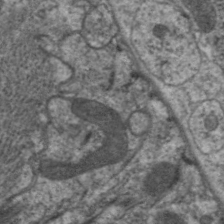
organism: C. elegans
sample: Pharynx